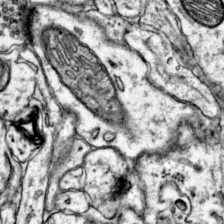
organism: Mouse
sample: Primary visual cortex